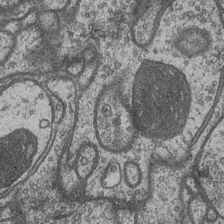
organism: Drosophila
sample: Optic medulla